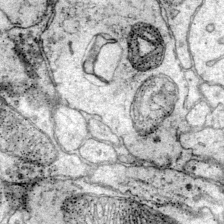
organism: Mouse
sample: Primary visual cortex